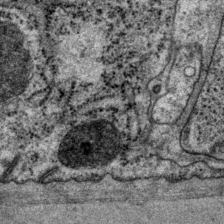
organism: P. pacificus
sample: Pharynx